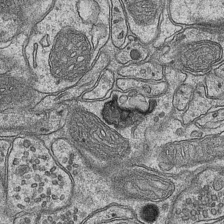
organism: Mouse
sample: CA1 Hippocampus